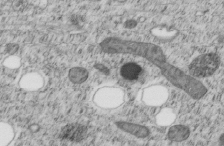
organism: C. elegans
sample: C. elegans embryo early stage